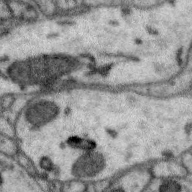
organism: Zebra finch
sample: Brain